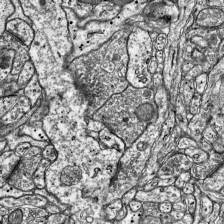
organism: Mouse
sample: Visual Cortex